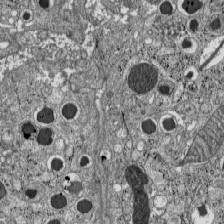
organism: C57BL Mouse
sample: Pancreatic islet